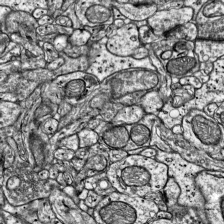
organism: Mouse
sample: Visual Cortex